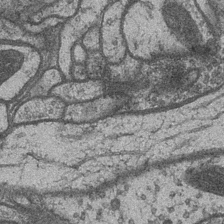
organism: Drosophila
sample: Optic medulla